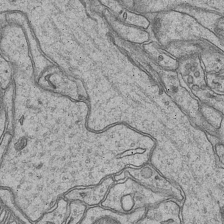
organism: Mouse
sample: CA1 Hippocampus